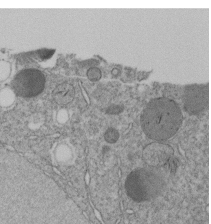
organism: C. elegans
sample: C. elegans embryo early stage